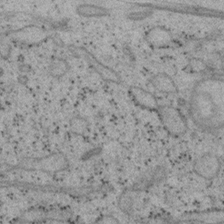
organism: Human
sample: HeLa cells